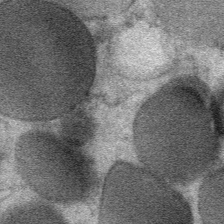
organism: Mouse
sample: Mouse Salivary gland